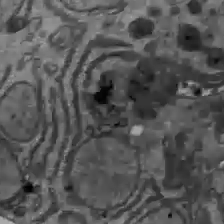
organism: C57BL Mouse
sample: Liver